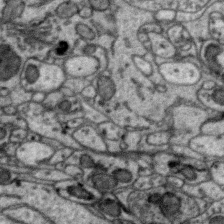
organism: Zebra finch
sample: Brain